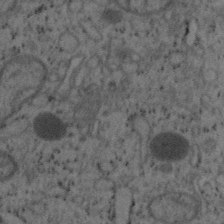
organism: Human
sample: HeLa cells